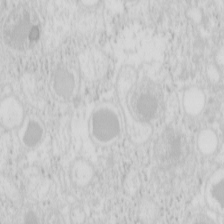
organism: Mouse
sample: Pancreas